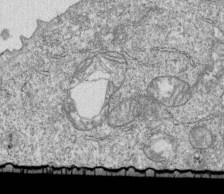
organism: Human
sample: HeLa cell HIV synapse